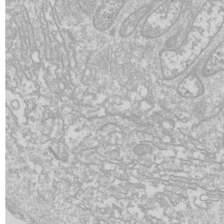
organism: Drosophila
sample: Cell division; meiosis; drosophila spermatocytes